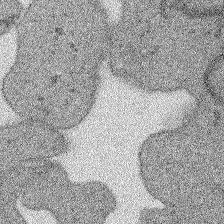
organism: Human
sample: HeLa cells